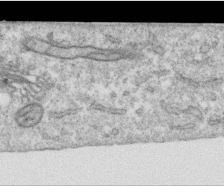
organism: Human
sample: Centriole in RPE cells